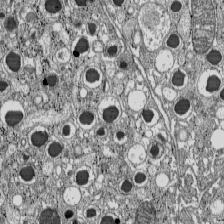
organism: C57BL Mouse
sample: Pancreatic islet